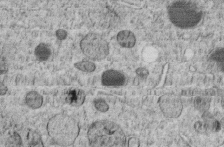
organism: C. elegans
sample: C. elegans embryo early stage